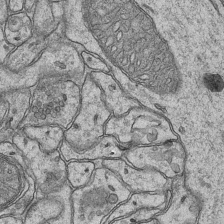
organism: Mouse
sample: CA1 Hippocampus